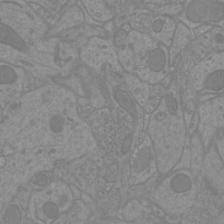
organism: Mouse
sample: Cortical neurons